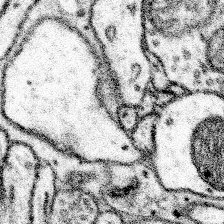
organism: Mouse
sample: Somatosensory cortex neuropil